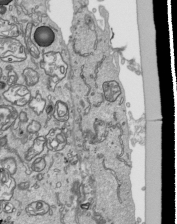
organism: Human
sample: Mitochondria in HCT116 cells